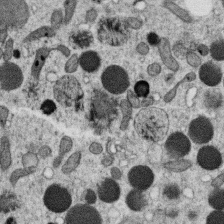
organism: C. elegans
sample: C. elegans oocyte; sperm cells